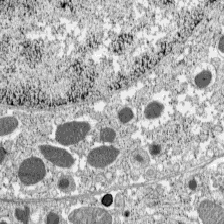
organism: C57BL Mouse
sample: Pancreatic islet